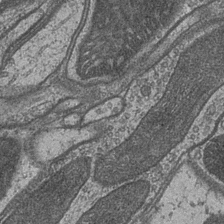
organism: Drosophila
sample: Optic medulla